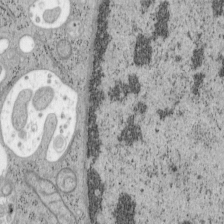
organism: Mouse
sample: OT-I killer T cells with ID8 ovarian cancer cells